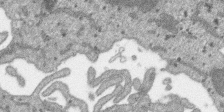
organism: Human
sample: Lung epithelial cells infected with SARS-CoV-2